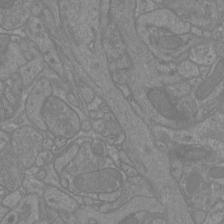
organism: Mouse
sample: Cortical neurons